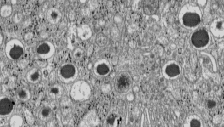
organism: C57BL Mouse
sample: Pancreatic islet